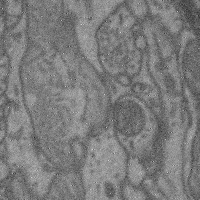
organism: Mouse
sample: Cerebral cortex